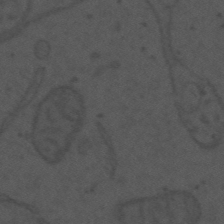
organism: Mouse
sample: Suprachiasmatic nucleus